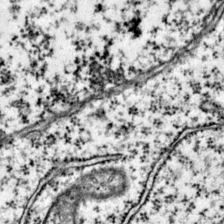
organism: Mouse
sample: Primary visual cortex